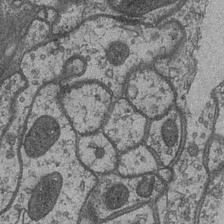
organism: Drosophila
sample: Optic medulla